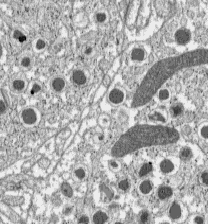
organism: C57BL Mouse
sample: Pancreatic islet